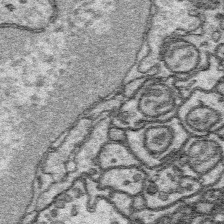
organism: Platynereis dumerilii